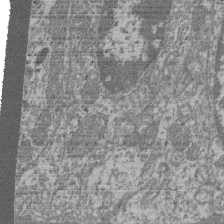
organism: Mouse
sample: Glomerulus